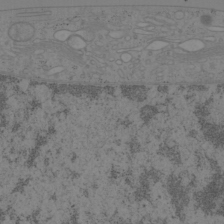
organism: Human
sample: HeLa cells